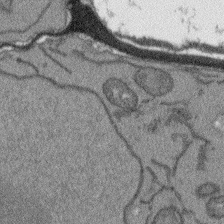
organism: Arabidopsis thaliana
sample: Root tip